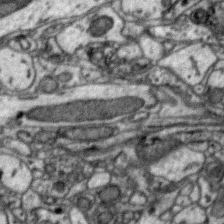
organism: Zebra finch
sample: Brain